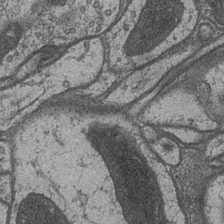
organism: Drosophila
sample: Optic medulla